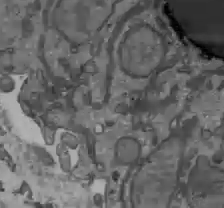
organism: C57BL Mouse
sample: Liver